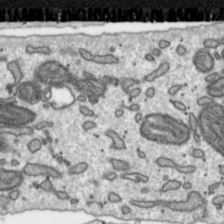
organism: Toxoplasma gondii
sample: Parasites in a vacuole inside a host cell